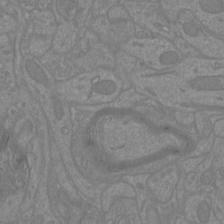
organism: Mouse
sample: Cortical neurons